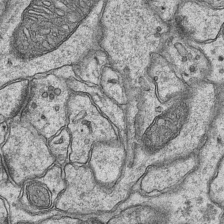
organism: Mouse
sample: CA1 Hippocampus